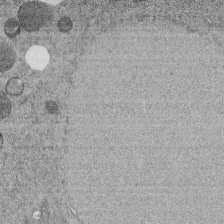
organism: C. elegans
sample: C. elegans embryo early stage